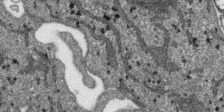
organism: Human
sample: Lung epithelial cells infected with SARS-CoV-2